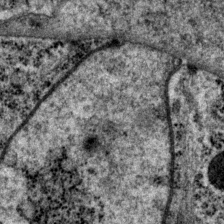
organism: P. pacificus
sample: Pharynx